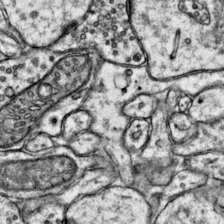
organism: Mouse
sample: Primary visual cortex